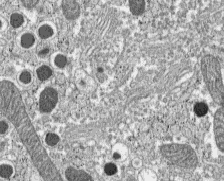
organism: C57BL Mouse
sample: Pancreatic islet